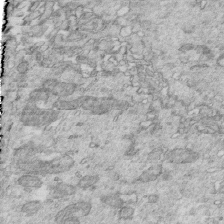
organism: Mouse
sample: Multiciliated cells